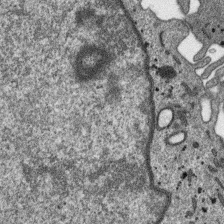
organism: Human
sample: Lung epithelial cells infected with SARS-CoV-2